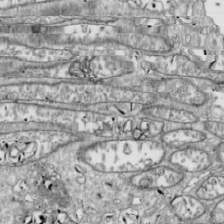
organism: Drosophila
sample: Cell division; meiosis; drosophila spermatocytes